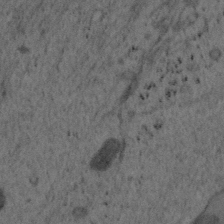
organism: Human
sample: HeLa cells